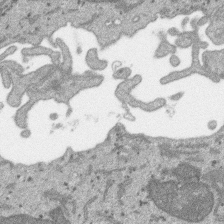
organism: Human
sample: Lung epithelial cells infected with SARS-CoV-2